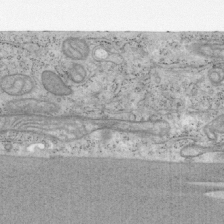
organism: Human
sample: HeLa cells